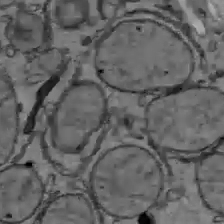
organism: C57BL Mouse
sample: Liver